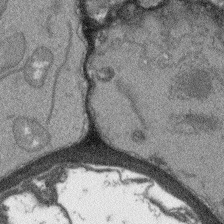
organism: Arabidopsis thaliana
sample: Root tip